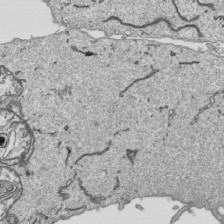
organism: Human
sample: Mitochondria in HCT116 cells